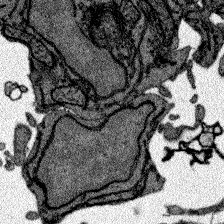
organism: Zebrafish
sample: Larval olfactory bulb